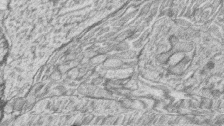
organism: Zebrafish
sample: synaptic ribbons in rod cells and cone cells